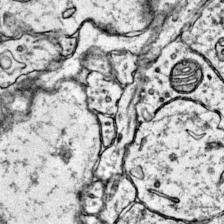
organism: Mouse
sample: Primary visual cortex